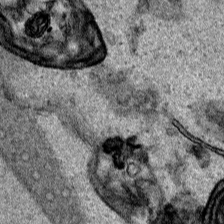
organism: Human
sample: Mitochondria in HCT116 cells